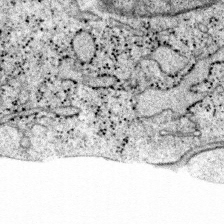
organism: Human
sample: HeLa cells